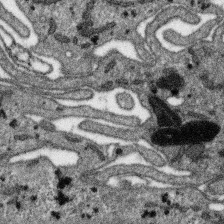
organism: Human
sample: Lung epithelial cells infected with SARS-CoV-2